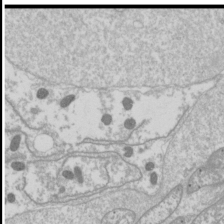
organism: Drosophila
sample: Cell division; meiosis; drosophila spermatocytes